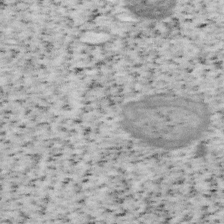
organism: Mouse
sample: OT-I killer T cells with ID8 ovarian cancer cells